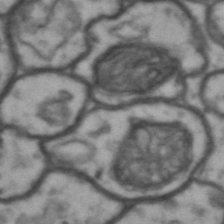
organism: Drosophila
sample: Brain